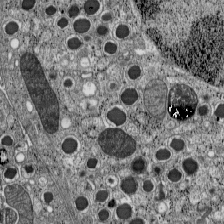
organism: C57BL Mouse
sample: Pancreatic islet